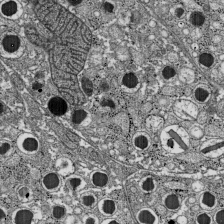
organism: C57BL Mouse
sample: Pancreatic islet